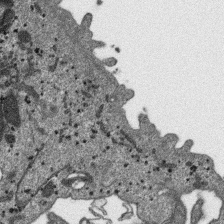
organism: Human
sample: Lung epithelial cells infected with SARS-CoV-2